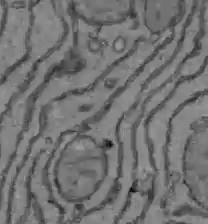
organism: C57BL Mouse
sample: Liver